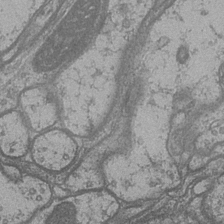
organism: Drosophila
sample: Optic medulla